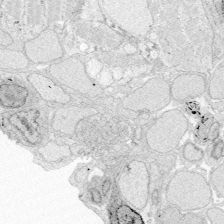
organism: Zebrafish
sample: Whole-Brain